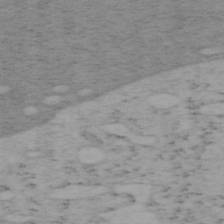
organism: Mouse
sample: OT-I killer T cells with ID8 ovarian cancer cells